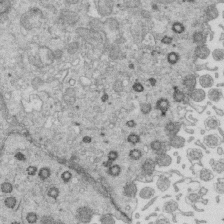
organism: Mouse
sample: Multiciliated cells